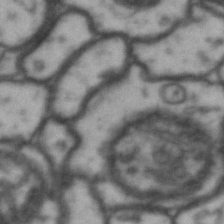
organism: Drosophila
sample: Brain